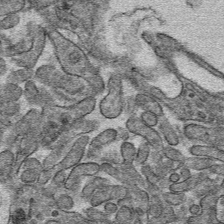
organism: Mouse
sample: Mouse hepatocytes